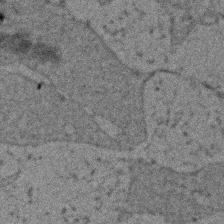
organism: Zebrafish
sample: Zebrafish embryo